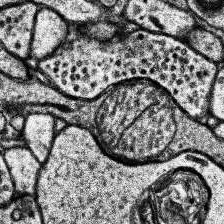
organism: Human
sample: Temporal Lobe